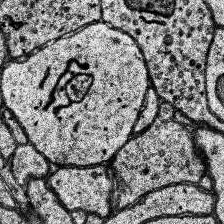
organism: Human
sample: Temporal Lobe